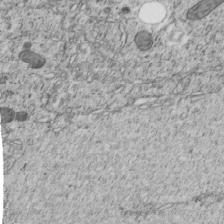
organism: C. elegans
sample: C. elegans embryo early stage